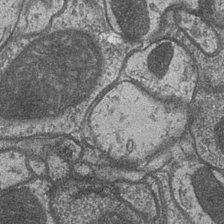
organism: Drosophila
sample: Optic medulla